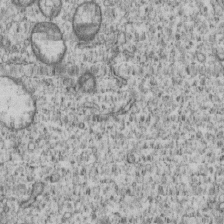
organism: Human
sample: MDA-MB-231 cells